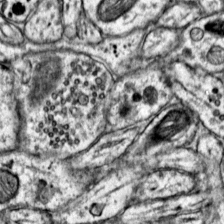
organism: Mouse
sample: Primary visual cortex